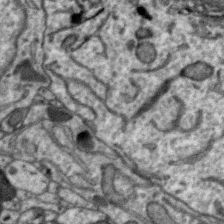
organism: Zebra finch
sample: Brain